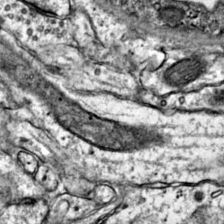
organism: Mouse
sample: Primary visual cortex